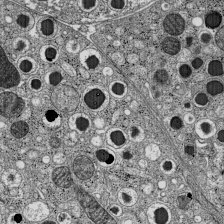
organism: C57BL Mouse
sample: Pancreatic islet